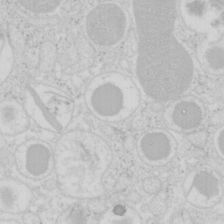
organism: Mouse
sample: Pancreas